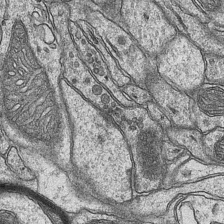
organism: Mouse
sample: CA1 Hippocampus